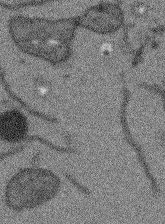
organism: Arabidopsis thaliana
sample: Root tip